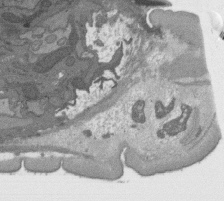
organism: C. elegans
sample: AFD neurons C. elegans